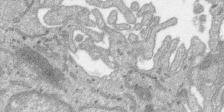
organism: Human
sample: Lung epithelial cells infected with SARS-CoV-2